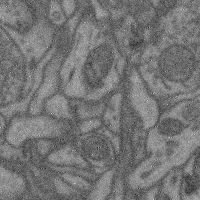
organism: Mouse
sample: Cerebral cortex